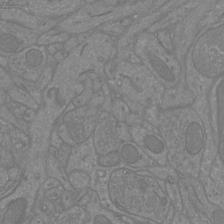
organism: Mouse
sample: Cortical neurons